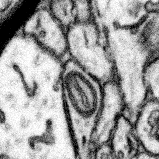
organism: Mouse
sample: Somatosensory cortex neuropil